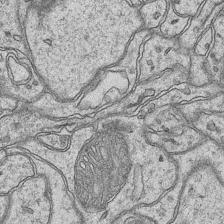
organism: Mouse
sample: CA1 Hippocampus